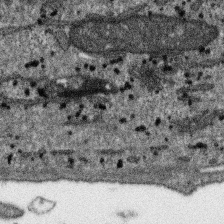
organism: Human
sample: Lung epithelial cells infected with SARS-CoV-2